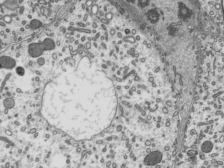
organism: Mouse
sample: Mouse epididymis efferent ductule cilia